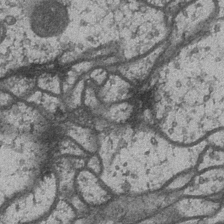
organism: Drosophila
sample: Optic medulla